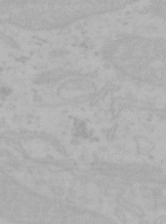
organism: Mouse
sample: Choroid plexus